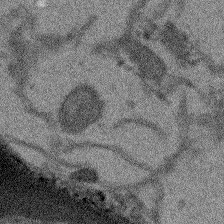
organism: Arabidopsis thaliana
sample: Root tip